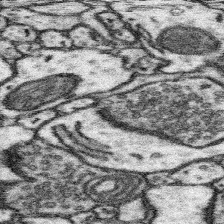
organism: Mouse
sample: Somatosensory cortex neuropil